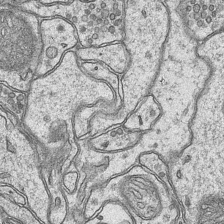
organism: Mouse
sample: CA1 Hippocampus